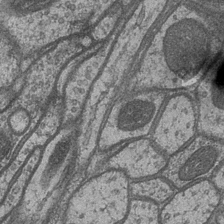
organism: Drosophila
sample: Optic medulla